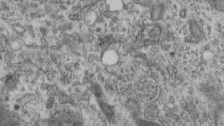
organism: Mouse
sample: Centriole in ependymal cells